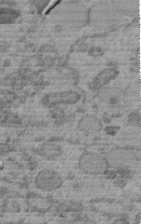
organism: C. elegans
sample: C. elegans embryo early stage